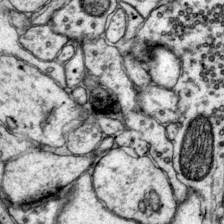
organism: Mouse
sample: Primary visual cortex